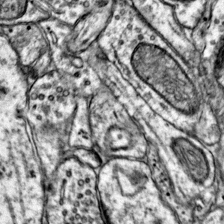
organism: Mouse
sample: Primary visual cortex